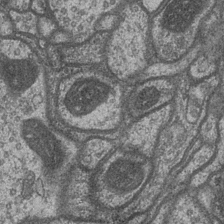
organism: Drosophila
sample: Optic medulla